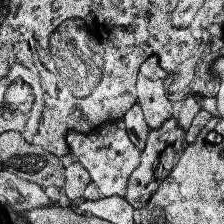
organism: Human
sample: Temporal Lobe